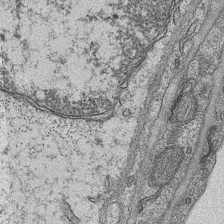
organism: Mouse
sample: CA1 Hippocampus